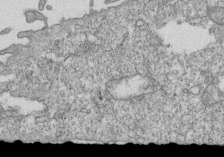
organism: Human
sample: HeLa cell HIV synapse